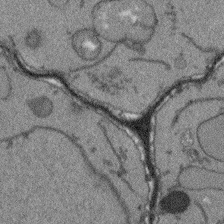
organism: Arabidopsis thaliana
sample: Root tip